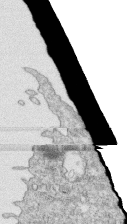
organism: Human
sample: HeLa cell HIV synapse